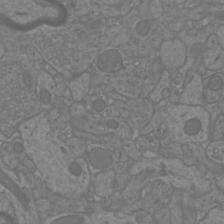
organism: Mouse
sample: Cortical neurons